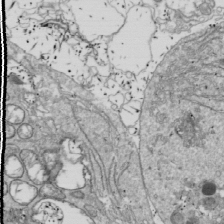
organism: Drosophila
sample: Cell division; meiosis; drosophila spermatocytes